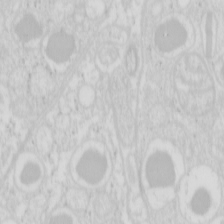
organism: Mouse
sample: Pancreas